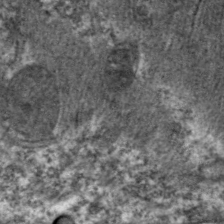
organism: C. elegans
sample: Pharynx